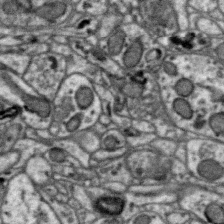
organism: Zebra finch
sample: Brain